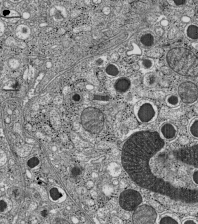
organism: C57BL Mouse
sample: Pancreatic islet